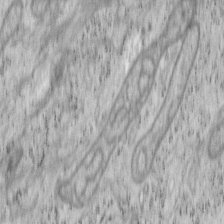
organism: Human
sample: HeLa cells